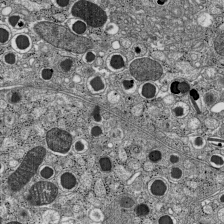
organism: C57BL Mouse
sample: Pancreatic islet